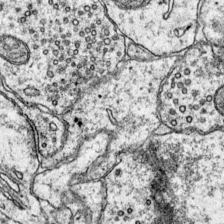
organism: Mouse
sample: Primary visual cortex